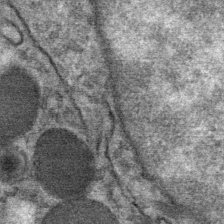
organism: Mouse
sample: Mouse Salivary gland